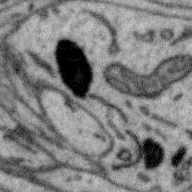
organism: Zebra finch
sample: Brain